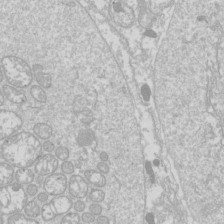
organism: Drosophila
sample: Cell division; meiosis; drosophila spermatocytes